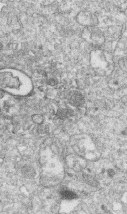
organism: Human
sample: HeLa cell HIV synapse